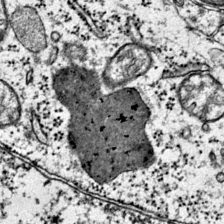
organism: Mouse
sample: Primary visual cortex